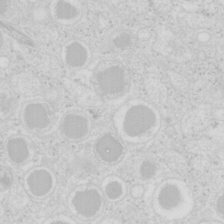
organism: Mouse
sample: Pancreas